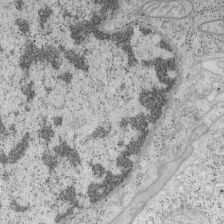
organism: Mouse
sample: OT-I killer T cells with ID8 ovarian cancer cells